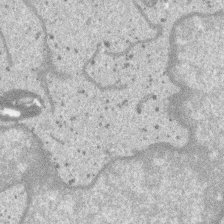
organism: Human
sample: Lung epithelial cells infected with SARS-CoV-2